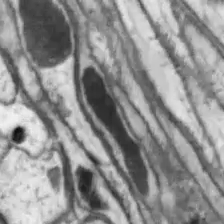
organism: Drosophila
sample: Optic lobe